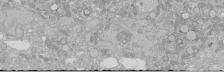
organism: Human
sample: Caco-2 cells